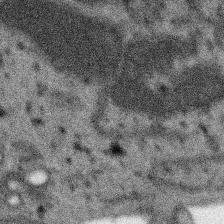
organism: Human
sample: Lung epithelial cells infected with SARS-CoV-2